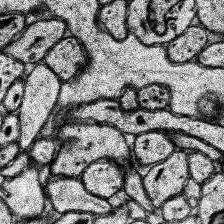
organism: Human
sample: Temporal Lobe